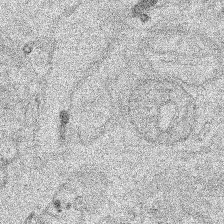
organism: Human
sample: Mitochondria in HCT116 cells